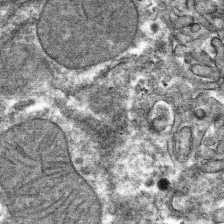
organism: Mouse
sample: Mouse hepatocytes